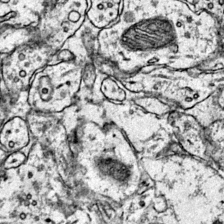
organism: Mouse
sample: Primary visual cortex